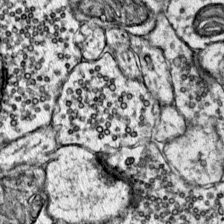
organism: Mouse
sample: Primary visual cortex